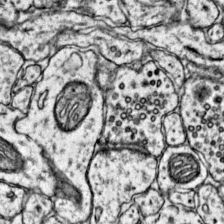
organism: Mouse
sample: Primary visual cortex